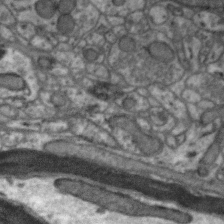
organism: Zebra finch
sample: Brain